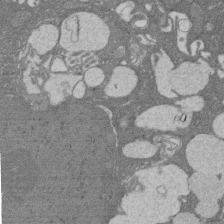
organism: Rat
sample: Salivary granule